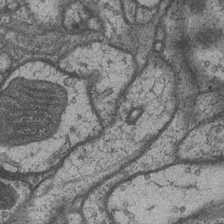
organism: Drosophila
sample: Optic medulla